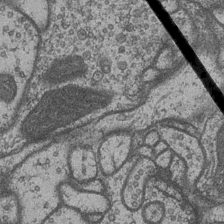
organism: Drosophila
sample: Optic medulla